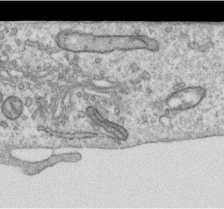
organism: Human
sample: Centriole in RPE cells